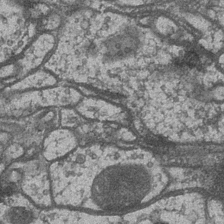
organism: Drosophila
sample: Optic medulla